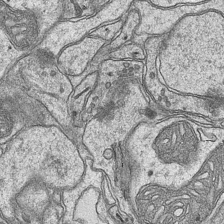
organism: Mouse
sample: CA1 Hippocampus